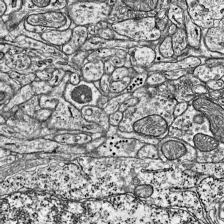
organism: Mouse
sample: Visual Cortex